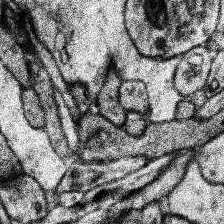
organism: Human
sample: Temporal Lobe